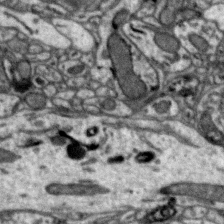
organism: Zebra finch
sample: Brain